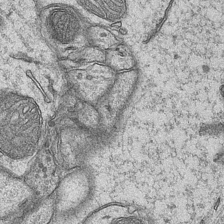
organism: Mouse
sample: CA1 Hippocampus